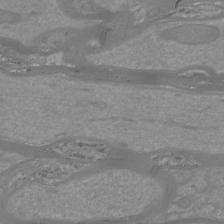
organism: Mouse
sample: Cortical neurons